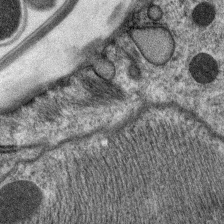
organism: C. elegans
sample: Pharynx